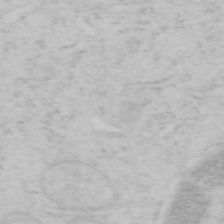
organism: Mouse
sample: OT-I killer T cells with ID8 ovarian cancer cells